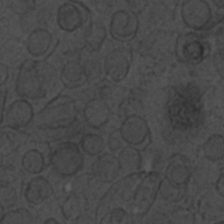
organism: C. elegans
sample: C. elegans embryo